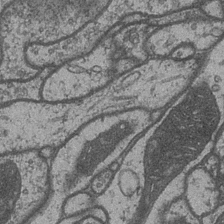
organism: Drosophila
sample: Optic medulla